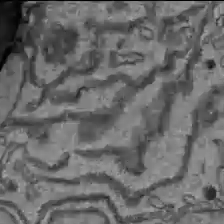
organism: C57BL Mouse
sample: Liver